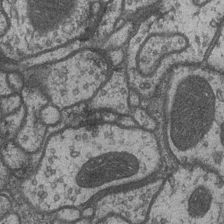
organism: Drosophila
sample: Optic medulla